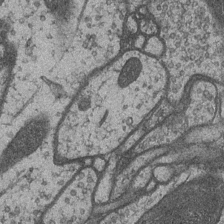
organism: Drosophila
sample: Optic medulla